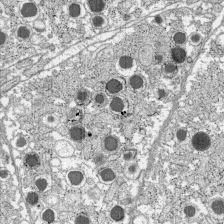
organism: C57BL Mouse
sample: Pancreatic islet